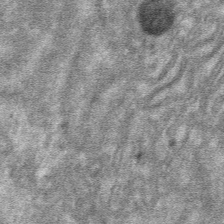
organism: Mouse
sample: Mouse hepatocytes